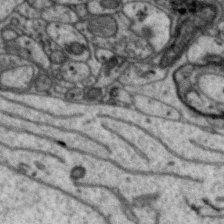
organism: Zebra finch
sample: Brain